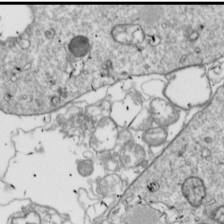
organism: Drosophila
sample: Cell division; meiosis; drosophila spermatocytes